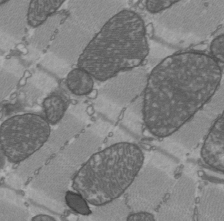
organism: C57BL Mouse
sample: Heart